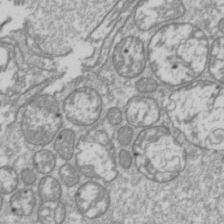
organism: Drosophila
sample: Cell division; meiosis; drosophila spermatocytes